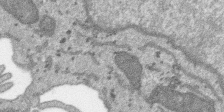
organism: Human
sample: Lung epithelial cells infected with SARS-CoV-2